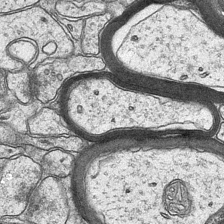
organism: Mouse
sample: CA1 Hippocampus